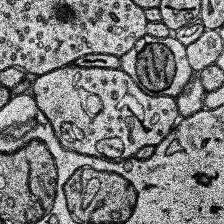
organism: Human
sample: Temporal Lobe